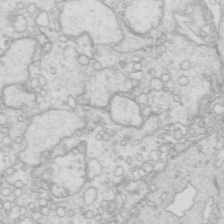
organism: Mouse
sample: Multiciliated cells